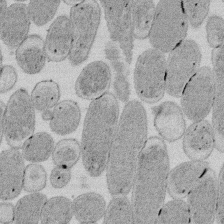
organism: E. coli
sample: Bacterial nucleoid